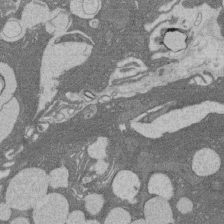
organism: Rat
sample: Salivary granule